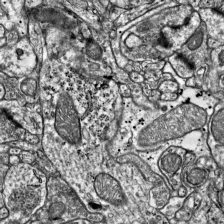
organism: Mouse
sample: Visual Cortex